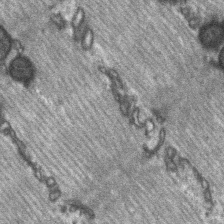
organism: C57BL Mouse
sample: Soleus